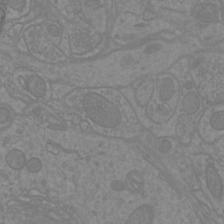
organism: Mouse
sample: Cortical neurons